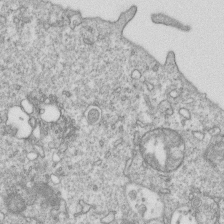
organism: Mouse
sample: Activated OT-1 CD8+ T cells